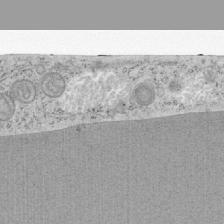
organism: Human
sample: HeLa cells